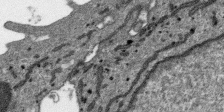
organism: Human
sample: Lung epithelial cells, uninfected (mock) control